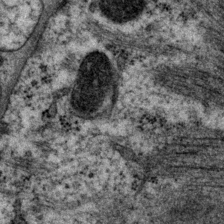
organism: P. pacificus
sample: Pharynx